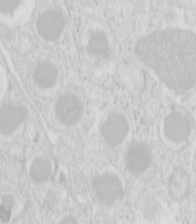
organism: Mouse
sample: Pancreas